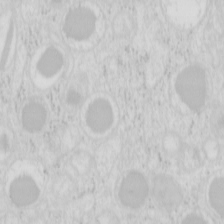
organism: Mouse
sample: Pancreas